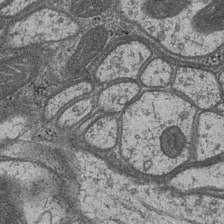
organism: Drosophila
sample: Optic medulla